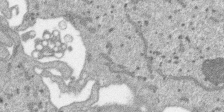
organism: Human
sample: Lung epithelial cells infected with SARS-CoV-2